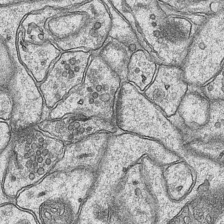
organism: Mouse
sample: CA1 Hippocampus